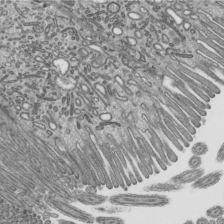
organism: Mouse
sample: Mouse epididymis efferent ductule cilia